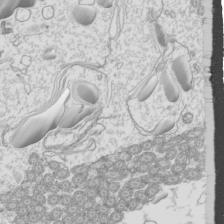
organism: Mouse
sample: Cilia; mouse epididymis